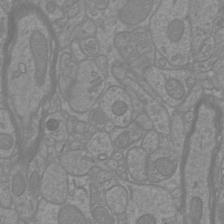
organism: Mouse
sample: Cortical neurons